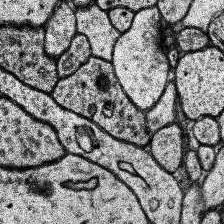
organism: Human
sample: Temporal Lobe